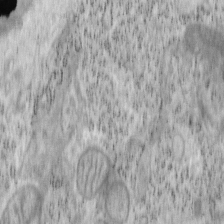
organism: Human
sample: HeLa cells